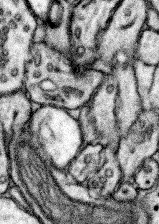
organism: Mouse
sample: Somatosensory cortex neuropil